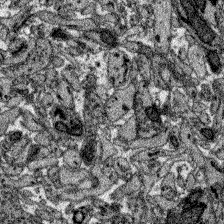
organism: Zebrafish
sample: Larval olfactory bulb